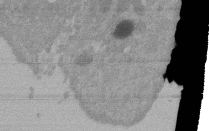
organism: Mouse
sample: ED-1 cell nuclei; centrioles